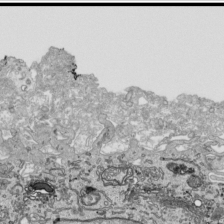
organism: Human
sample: Mitochondria in HCT116 cells